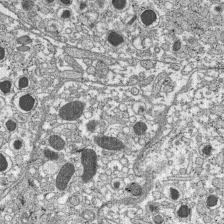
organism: C57BL Mouse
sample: Pancreatic islet